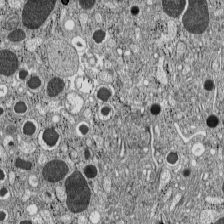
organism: C57BL Mouse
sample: Pancreatic islet